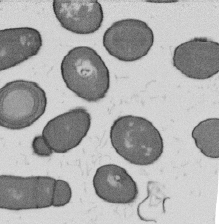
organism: B. subtilis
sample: Bacterial spore